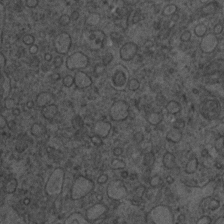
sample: Trachea